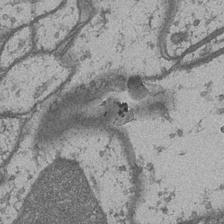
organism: Drosophila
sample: Optic medulla